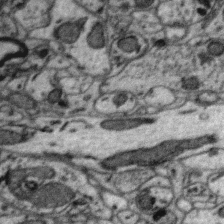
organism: Zebra finch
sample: Brain